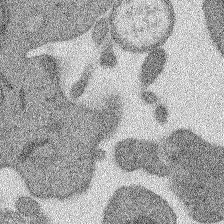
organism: Human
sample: HeLa cells